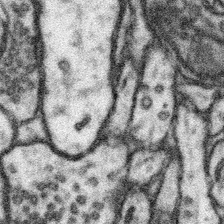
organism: Mouse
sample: Somatosensory cortex neuropil